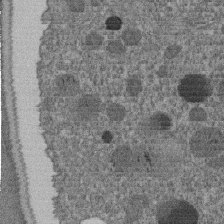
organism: C. elegans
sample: C. elegans embryo early stage